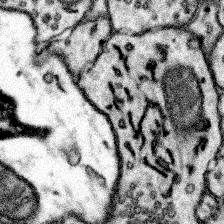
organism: Mouse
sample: Somatosensory cortex neuropil